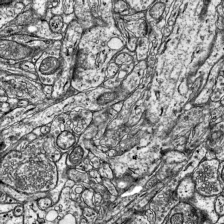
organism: Mouse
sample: Visual Cortex